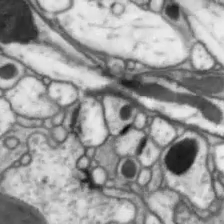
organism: Drosophila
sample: Optic lobe